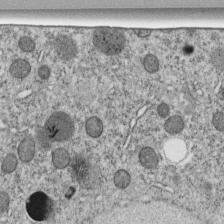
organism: C. elegans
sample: C. elegans embryo early stage